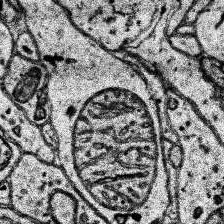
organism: Human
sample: Temporal Lobe